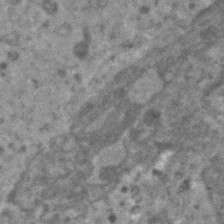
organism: Human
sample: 1205lu cells